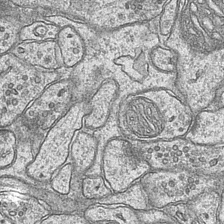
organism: Mouse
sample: CA1 Hippocampus